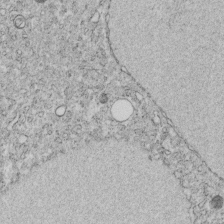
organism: C. elegans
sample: C. elegans embryo early stage